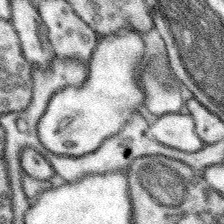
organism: Mouse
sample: Somatosensory cortex neuropil